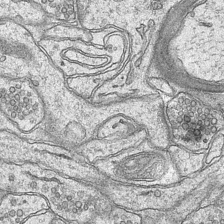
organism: Mouse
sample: CA1 Hippocampus